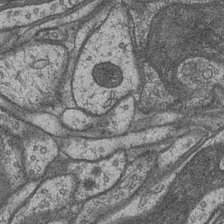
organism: Drosophila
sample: Optic medulla